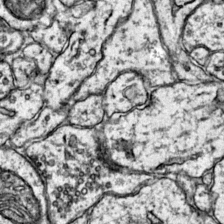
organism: Mouse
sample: Primary visual cortex